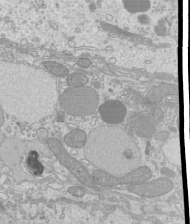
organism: Mouse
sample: Cilia; mouse epididymis